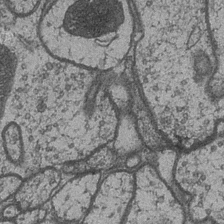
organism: Drosophila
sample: Optic medulla